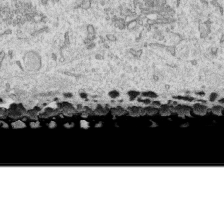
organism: Human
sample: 1205lu cells